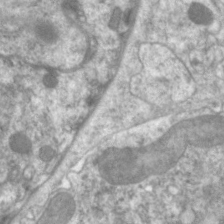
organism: C. elegans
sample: Pharynx